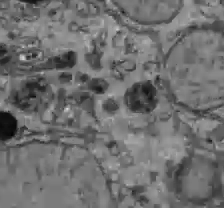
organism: C57BL Mouse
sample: Liver